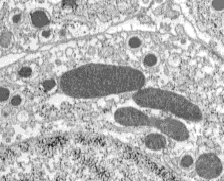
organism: C57BL Mouse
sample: Pancreatic islet